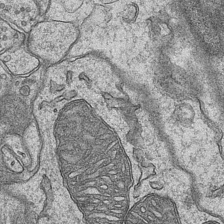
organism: Mouse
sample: CA1 Hippocampus